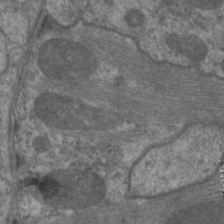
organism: C. elegans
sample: Pharynx